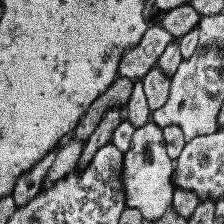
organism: Human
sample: Temporal Lobe